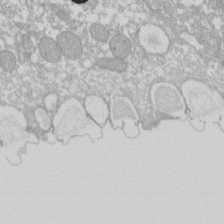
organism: Xenopus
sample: Cilia; centrioles in frog embryo cells